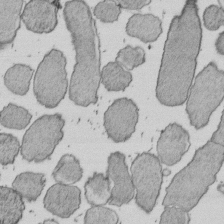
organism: E. coli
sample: Bacterial nucleoid